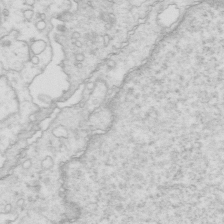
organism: Mouse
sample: Multiciliated cells